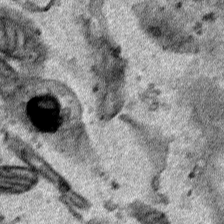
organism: Human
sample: Mitochondria in HCT116 cells